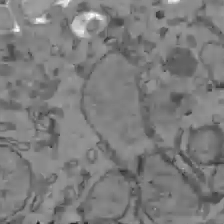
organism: C57BL Mouse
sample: Liver